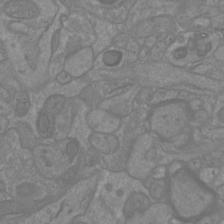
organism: Mouse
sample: Cortical neurons